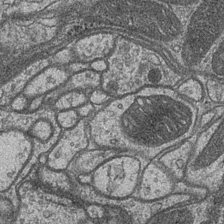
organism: Drosophila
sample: Optic medulla